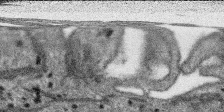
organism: Human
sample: Lung epithelial cells infected with SARS-CoV-2